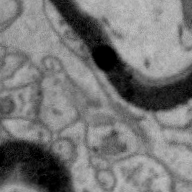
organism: Zebra finch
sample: Brain